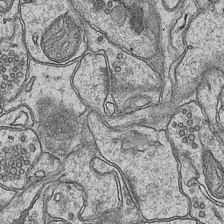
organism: Mouse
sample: CA1 Hippocampus